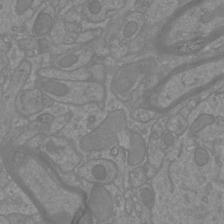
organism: Mouse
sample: Cortical neurons